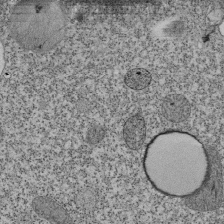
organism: Tetrahymena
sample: Cilia in tetrahymena